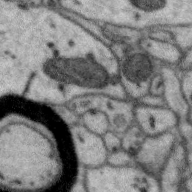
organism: Zebra finch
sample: Brain